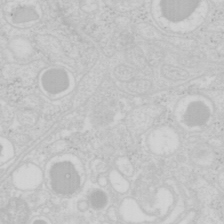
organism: Mouse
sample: Pancreas